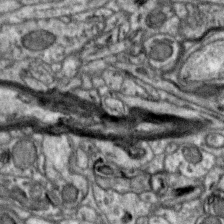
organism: Zebra finch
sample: Brain